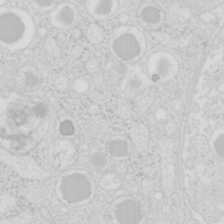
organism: Mouse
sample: Pancreas